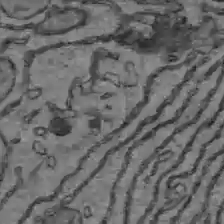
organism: C57BL Mouse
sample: Liver